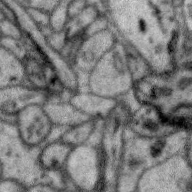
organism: Zebra finch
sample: Brain